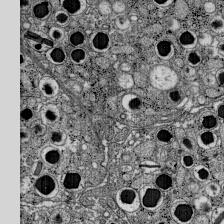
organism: C57BL Mouse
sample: Pancreatic islet